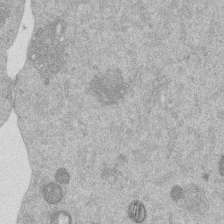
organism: Mouse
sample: Dividing mouse embryo 1 cell stage